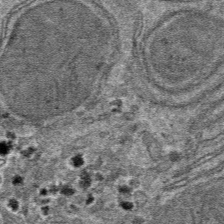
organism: Mouse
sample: Mouse hepatocytes